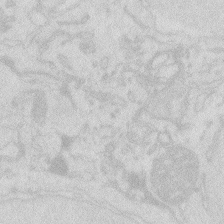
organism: Zebrafish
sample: Macrophage